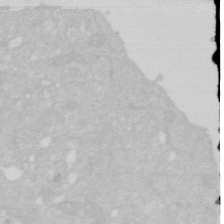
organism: Human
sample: HIV infected U937 cells